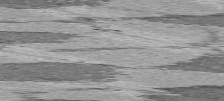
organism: C57BL Mouse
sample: Heart